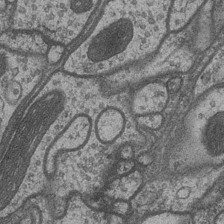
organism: Drosophila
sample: Optic medulla